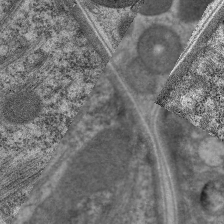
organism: C. elegans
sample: Pharynx